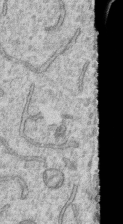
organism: Human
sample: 1205lu cells